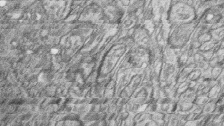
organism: Zebrafish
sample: synaptic ribbons in rod cells and cone cells